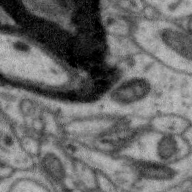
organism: Zebra finch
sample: Brain